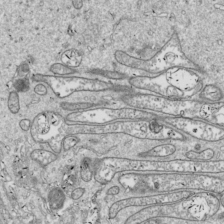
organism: Drosophila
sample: Cell division; meiosis; drosophila spermatocytes